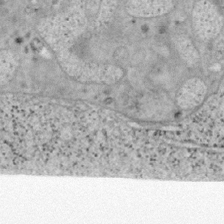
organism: Mouse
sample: OT-I killer T cells with ID8 ovarian cancer cells